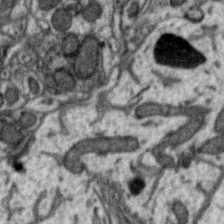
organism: Zebra finch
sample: Brain